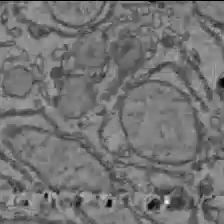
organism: C57BL Mouse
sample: Liver